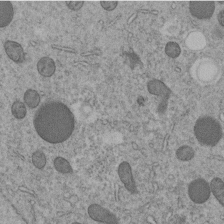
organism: C. elegans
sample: C. elegans embryo early stage